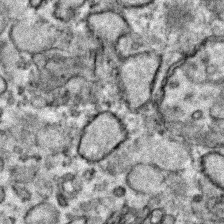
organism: Zebrafish